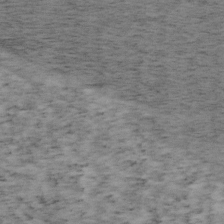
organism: Mouse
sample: OT-I killer T cells with ID8 ovarian cancer cells